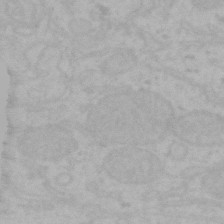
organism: Mouse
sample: Choroid plexus